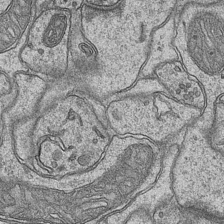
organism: Mouse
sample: CA1 Hippocampus